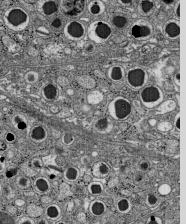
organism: C57BL Mouse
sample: Pancreatic islet